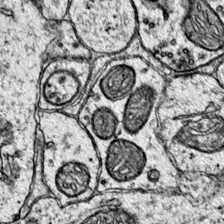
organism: Mouse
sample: Primary visual cortex